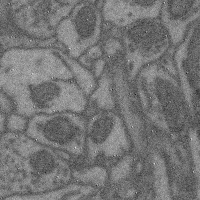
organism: Mouse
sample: Cerebral cortex